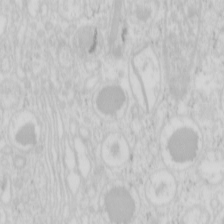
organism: Mouse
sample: Pancreas